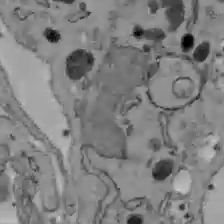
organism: C57BL Mouse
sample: Liver